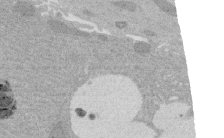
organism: Rat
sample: Salivary granule